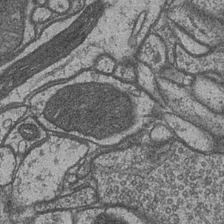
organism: Drosophila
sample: Optic medulla